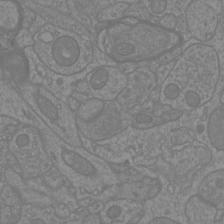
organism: Mouse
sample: Cortical neurons